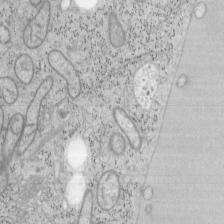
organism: Mouse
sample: OT-I killer T cells with ID8 ovarian cancer cells